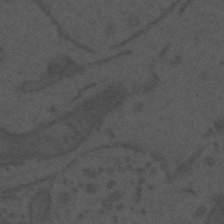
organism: Mouse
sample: Suprachiasmatic nucleus